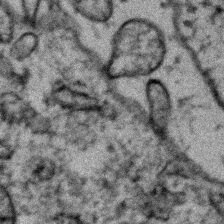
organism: Zebrafish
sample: Zebrafish embryo